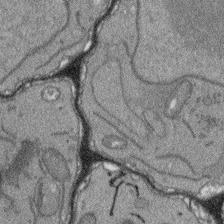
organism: Arabidopsis thaliana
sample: Root tip